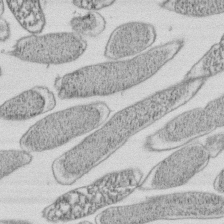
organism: E. coli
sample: Bacterial nucleoid